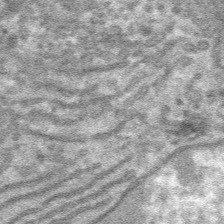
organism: Mouse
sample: Mouse hepatocytes